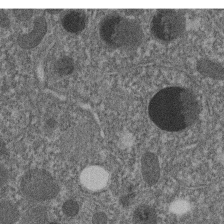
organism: C. elegans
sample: C. elegans embryo early stage